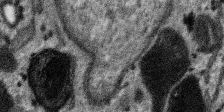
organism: Human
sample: Lung epithelial cells infected with SARS-CoV-2